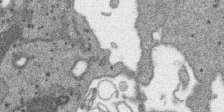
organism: Human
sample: Lung epithelial cells infected with SARS-CoV-2